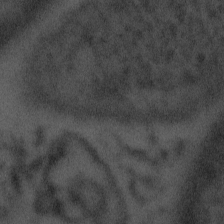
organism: Tuwongella immobilis